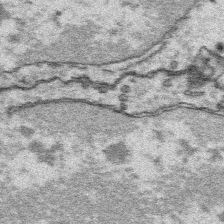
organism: Platynereis dumerilii